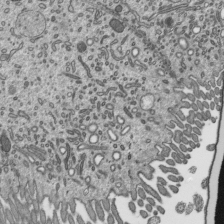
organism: Mouse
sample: Mouse epididymis efferent ductule cilia